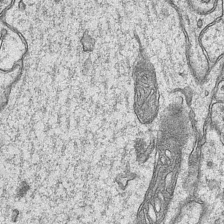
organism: Mouse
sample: CA1 Hippocampus